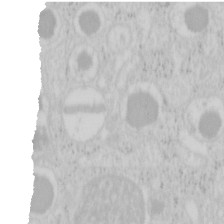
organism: Mouse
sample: Pancreas